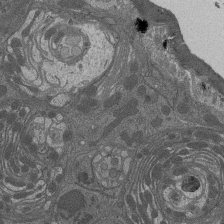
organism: Drosophila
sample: Antenna